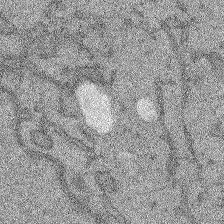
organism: Human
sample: HeLa cells